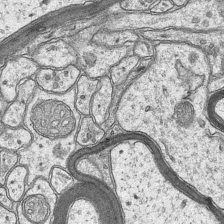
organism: Mouse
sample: CA1 Hippocampus